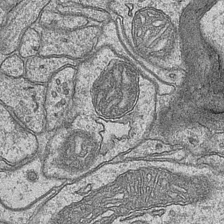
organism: Mouse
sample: CA1 Hippocampus